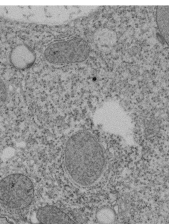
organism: Tetrahymena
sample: Cilia in tetrahymena